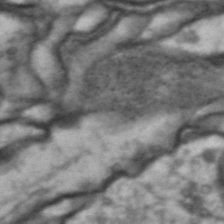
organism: Drosophila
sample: Brain